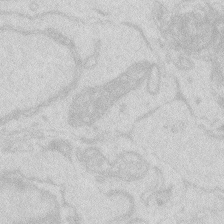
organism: Zebrafish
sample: Macrophage